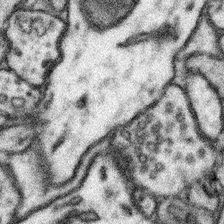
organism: Mouse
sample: Somatosensory cortex neuropil